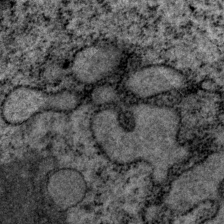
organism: P. pacificus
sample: Pharynx